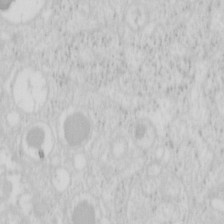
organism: Mouse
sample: Pancreas